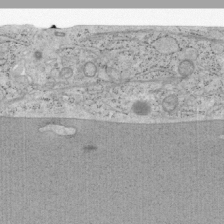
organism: Human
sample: HeLa cells